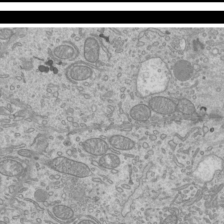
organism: Mouse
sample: Cilia; mouse epididymis